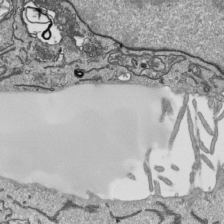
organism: Human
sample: Mitochondria in HCT116 cells